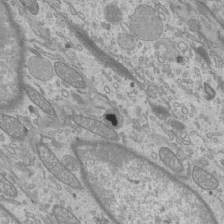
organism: Mouse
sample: Cilia; mouse epididymis